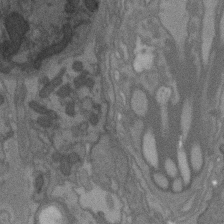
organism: C. elegans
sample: AFD neurons C. elegans